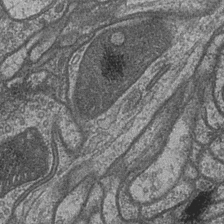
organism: Drosophila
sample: Optic medulla